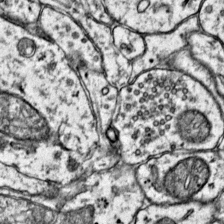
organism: Mouse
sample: Primary visual cortex